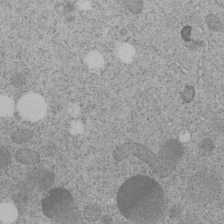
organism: C. elegans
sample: C. elegans embryo early stage